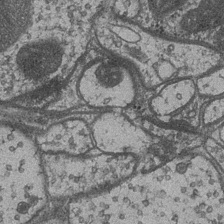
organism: Drosophila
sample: Optic medulla